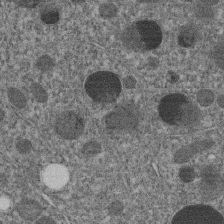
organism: C. elegans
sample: C. elegans embryo early stage